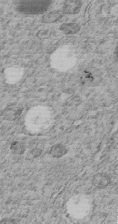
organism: C. elegans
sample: C. elegans embryo early stage